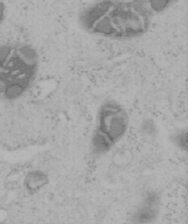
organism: Mouse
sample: OT-I killer T cells with ID8 ovarian cancer cells